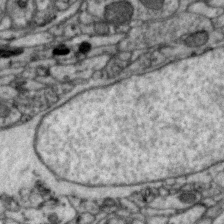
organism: Zebra finch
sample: Brain